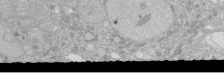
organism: Human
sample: Caco-2 cells